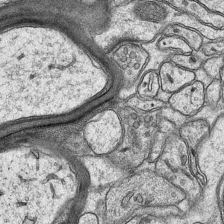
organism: Mouse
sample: CA1 Hippocampus